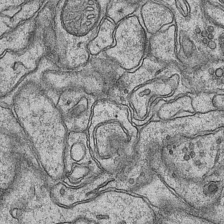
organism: Mouse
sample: CA1 Hippocampus